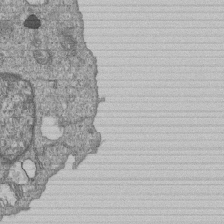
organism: Human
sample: MDA-MB-231 cells